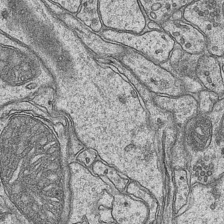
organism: Mouse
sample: CA1 Hippocampus